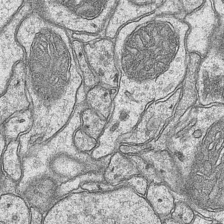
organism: Mouse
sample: CA1 Hippocampus